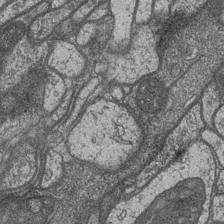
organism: Drosophila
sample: Optic medulla